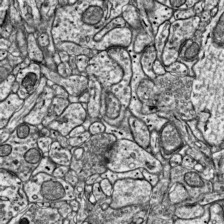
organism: Mouse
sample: Visual Cortex